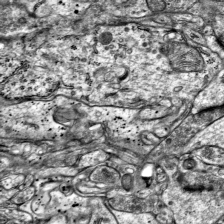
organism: Mouse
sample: Visual Cortex